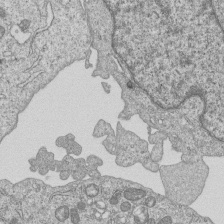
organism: Human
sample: MDA-MB-231 cells